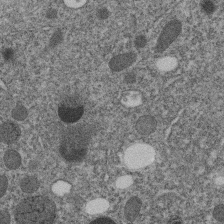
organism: C. elegans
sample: C. elegans embryo early stage